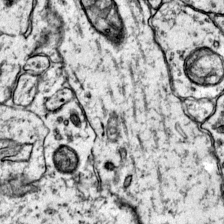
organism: Mouse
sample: Primary visual cortex